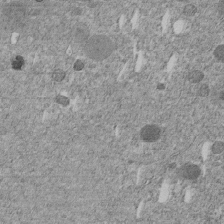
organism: C. elegans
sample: C. elegans embryo early stage